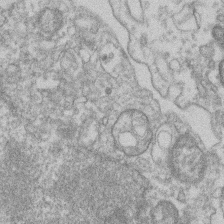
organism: Mouse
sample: T cell stromal cell synapse